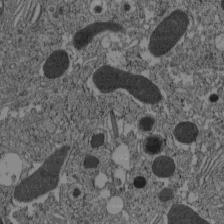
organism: C57BL Mouse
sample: Pancreatic islet